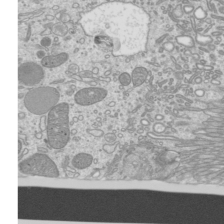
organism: Mouse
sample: Cilia; mouse epididymis